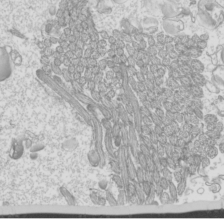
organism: Mouse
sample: Cilia; mouse epididymis